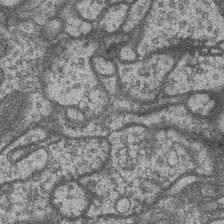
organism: Drosophila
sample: Optic medulla